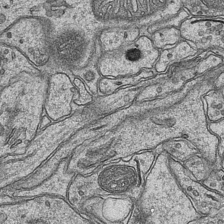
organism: Mouse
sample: CA1 Hippocampus